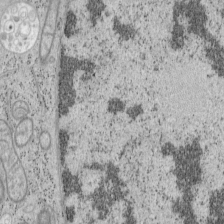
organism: Mouse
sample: OT-I killer T cells with ID8 ovarian cancer cells